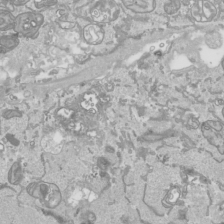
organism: Human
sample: Mitochondria in HCT116 cells